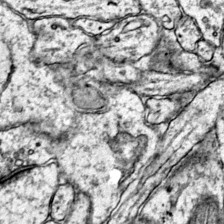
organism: Mouse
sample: Primary visual cortex